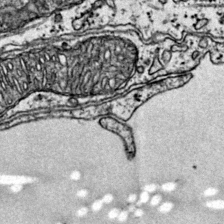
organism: Mouse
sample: Primary visual cortex